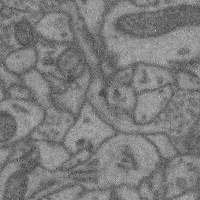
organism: Mouse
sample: Cerebral cortex